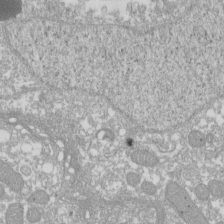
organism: Xenopus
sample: Cilia; centrioles in frog embryo cells